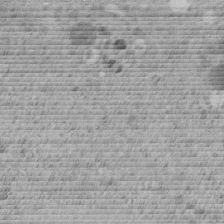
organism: C. elegans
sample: C. elegans embryo early stage